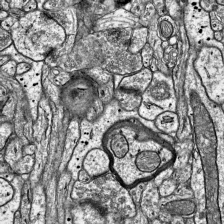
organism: Mouse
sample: Visual Cortex